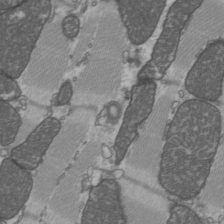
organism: C57BL Mouse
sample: Heart